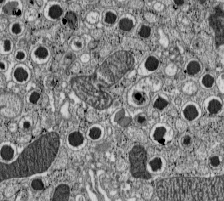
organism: C57BL Mouse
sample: Pancreatic islet